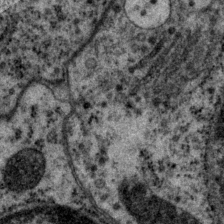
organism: P. pacificus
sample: Pharynx